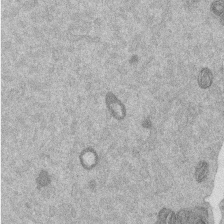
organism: Mouse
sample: Dividing mouse embryo 1 cell stage